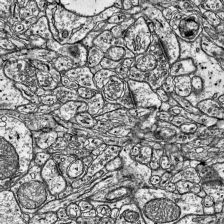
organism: Mouse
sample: Visual Cortex